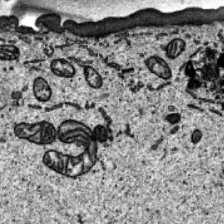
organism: Human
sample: HeLa cells